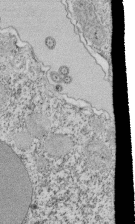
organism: Tetrahymena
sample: Cilia in tetrahymena